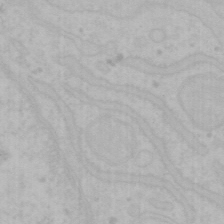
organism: Mouse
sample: Choroid plexus